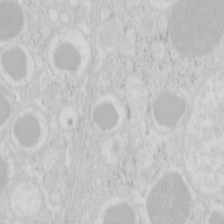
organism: Mouse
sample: Pancreas